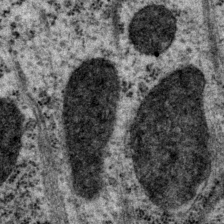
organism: P. pacificus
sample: Pharynx